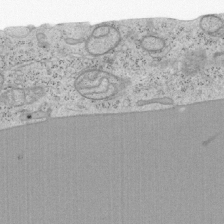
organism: Human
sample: HeLa cells